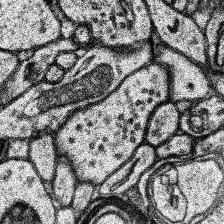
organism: Human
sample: Temporal Lobe